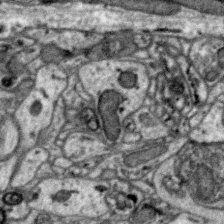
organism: Zebra finch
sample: Brain